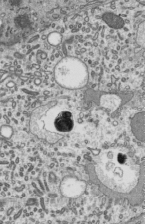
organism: Mouse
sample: Mouse epididymis efferent ductule cilia